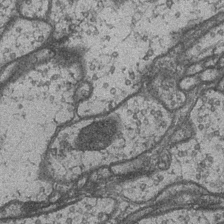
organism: Drosophila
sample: Optic medulla